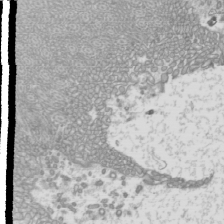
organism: Mouse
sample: Cilia; mouse epididymis